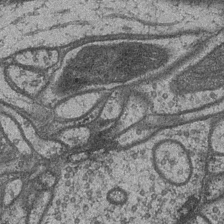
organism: Drosophila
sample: Optic medulla